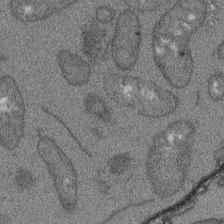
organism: Arabidopsis thaliana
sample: Root tip